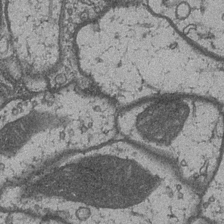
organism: Drosophila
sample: Optic medulla